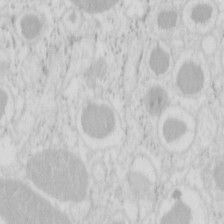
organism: Mouse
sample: Pancreas